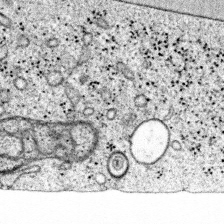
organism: Human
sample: HeLa cells